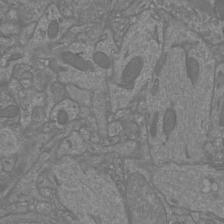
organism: Mouse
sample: Cortical neurons